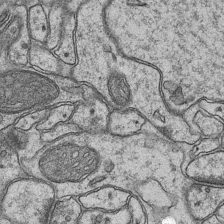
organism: Mouse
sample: CA1 Hippocampus